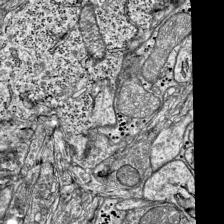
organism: Mouse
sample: Visual Cortex